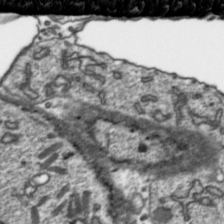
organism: Toxoplasma gondii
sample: Parasites in a vacuole inside a host cell